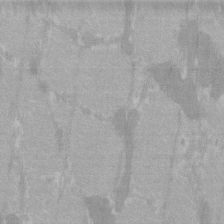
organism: C57BL Mouse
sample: Tibialis anterior muscle cell